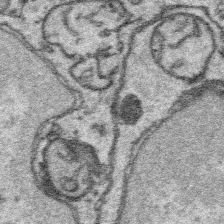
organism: Platynereis dumerilii